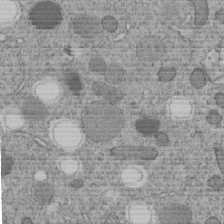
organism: C. elegans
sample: C. elegans embryo early stage